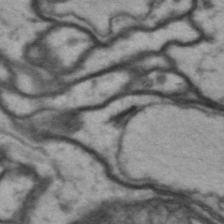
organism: Drosophila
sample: Brain